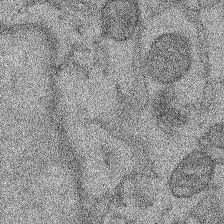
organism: Human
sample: HeLa cells